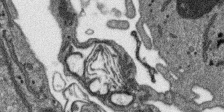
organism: Human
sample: Lung epithelial cells infected with SARS-CoV-2